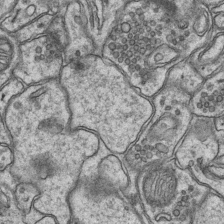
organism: Mouse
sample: CA1 Hippocampus